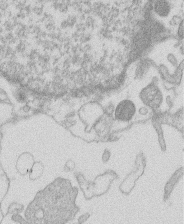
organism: Human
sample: Macrophage cells